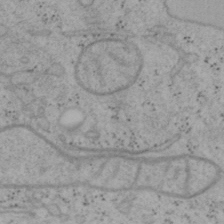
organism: Human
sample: HeLa cells